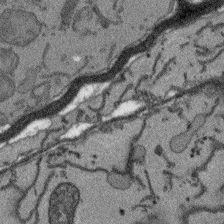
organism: Arabidopsis thaliana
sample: Root tip